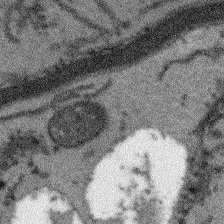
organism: Arabidopsis thaliana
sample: Root tip